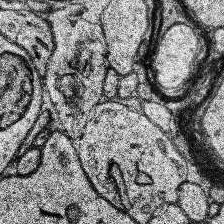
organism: Human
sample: Temporal Lobe